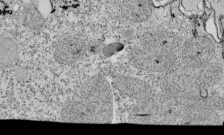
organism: Tetrahymena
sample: Cilia in tetrahymena